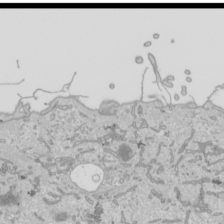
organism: Human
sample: Mitochondria in HCT116 cells